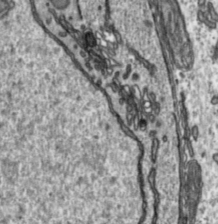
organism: Toxoplasma gondii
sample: Parasites in a vacuole inside a host cell